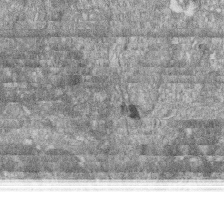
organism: Zebrafish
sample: Cilia; retinal pigment epithelium